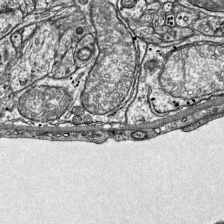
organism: Mouse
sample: Visual Cortex